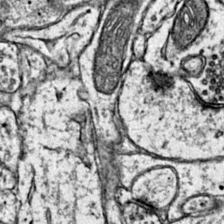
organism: Mouse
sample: Primary visual cortex